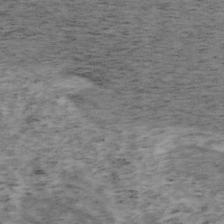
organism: Mouse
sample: OT-I killer T cells with ID8 ovarian cancer cells